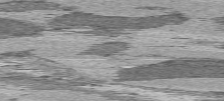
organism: C57BL Mouse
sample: Heart